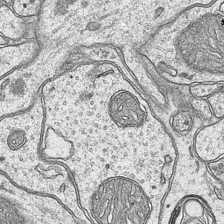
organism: Mouse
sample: CA1 Hippocampus